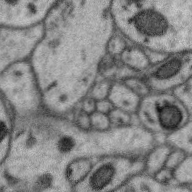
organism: Zebra finch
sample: Brain